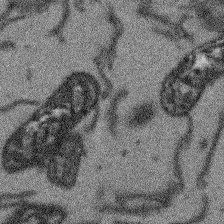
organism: Arabidopsis thaliana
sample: Root tip